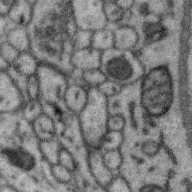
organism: Zebra finch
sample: Brain